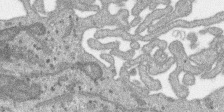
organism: Human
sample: Lung epithelial cells infected with SARS-CoV-2